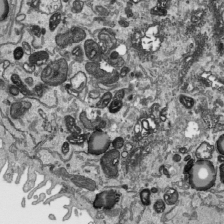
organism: Human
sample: Mitochondria in HCT116 cells